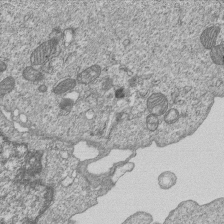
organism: Human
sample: MDA-MB-231 cells